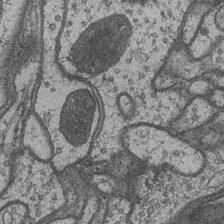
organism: Drosophila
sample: Optic medulla